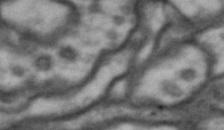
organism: Drosophila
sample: Brain